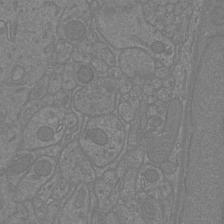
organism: Mouse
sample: Cortical neurons